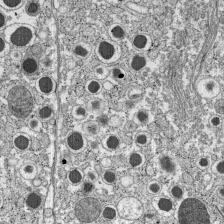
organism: C57BL Mouse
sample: Pancreatic islet